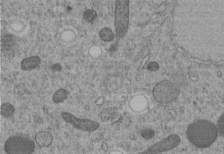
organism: C. elegans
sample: C. elegans embryo early stage